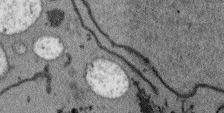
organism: Arabidopsis thaliana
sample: Root tip